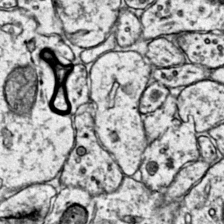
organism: Mouse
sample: Primary visual cortex